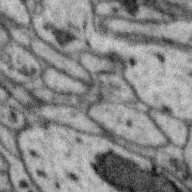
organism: Zebra finch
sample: Brain